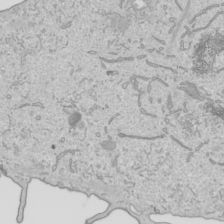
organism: Human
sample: Mitochondria in HCT116 cells